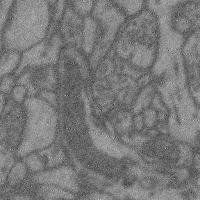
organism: Mouse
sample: Cerebral cortex